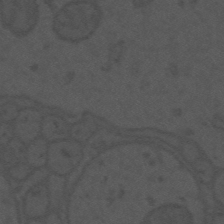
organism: Mouse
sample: Suprachiasmatic nucleus